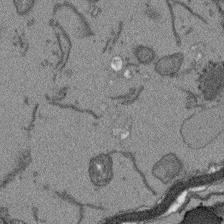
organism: Arabidopsis thaliana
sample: Root tip